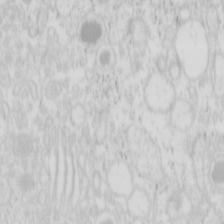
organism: Mouse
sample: Pancreas